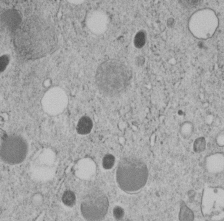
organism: C. elegans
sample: C. elegans embryo early stage